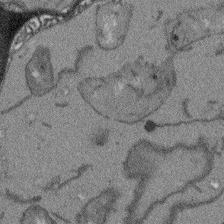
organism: Arabidopsis thaliana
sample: Root tip